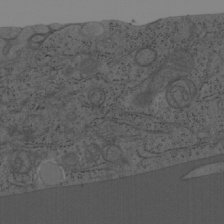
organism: Human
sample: HeLa cells